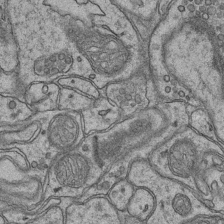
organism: Mouse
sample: CA1 Hippocampus